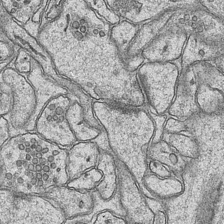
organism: Mouse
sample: CA1 Hippocampus